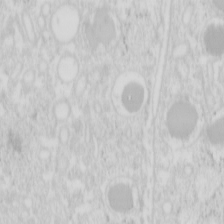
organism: Mouse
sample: Pancreas